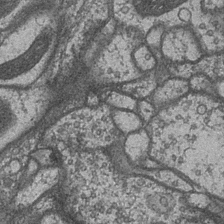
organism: Drosophila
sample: Optic medulla